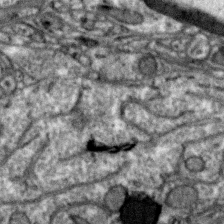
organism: Zebra finch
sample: Brain